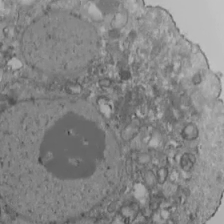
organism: Human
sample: Jurkat E6-1 and CD4 cells